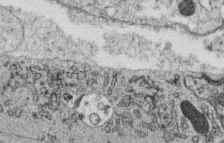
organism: C. elegans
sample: C. elegans oocyte; sperm cells